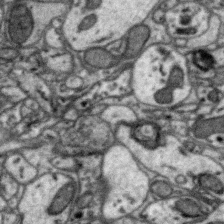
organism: Zebra finch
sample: Brain